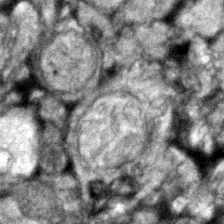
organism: Zebrafish